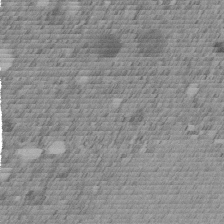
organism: C. elegans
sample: C. elegans embryo early stage